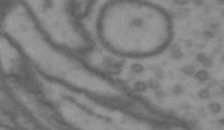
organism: Drosophila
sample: Brain